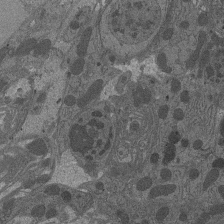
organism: Drosophila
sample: Antenna